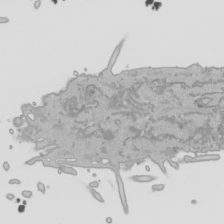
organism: Human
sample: Mitochondria in HCT116 cells